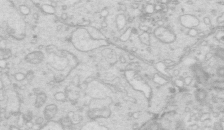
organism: Mouse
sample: Multiciliated cells